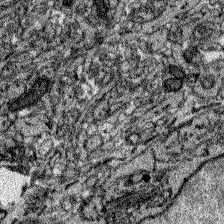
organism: Zebrafish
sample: Larval olfactory bulb